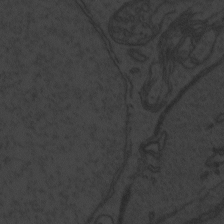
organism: Zebrafish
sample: Macrophage infected with Toxoplasma gondii